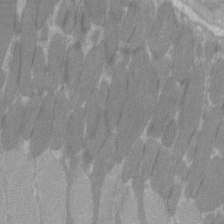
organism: C57BL Mouse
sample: Tibialis anterior muscle cell